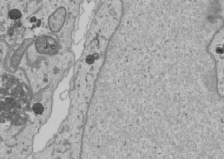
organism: Human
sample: Mitochondria in U2OS cells